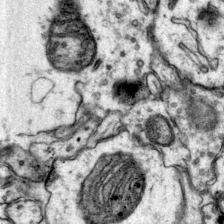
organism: Mouse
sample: Primary visual cortex